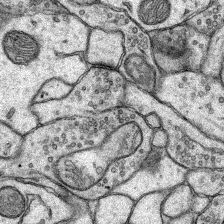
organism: Rat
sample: Hippocampus